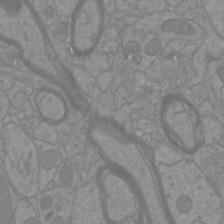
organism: Mouse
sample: Cortical neurons